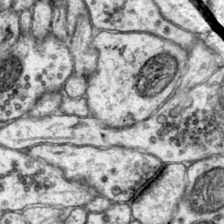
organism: Mouse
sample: Primary visual cortex